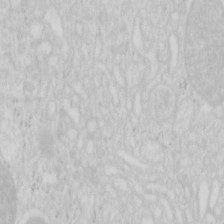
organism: Mouse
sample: Pancreas